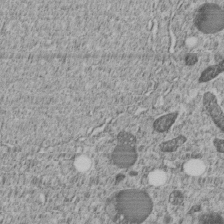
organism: C. elegans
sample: C. elegans embryo early stage